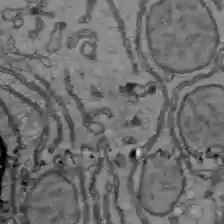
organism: C57BL Mouse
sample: Liver